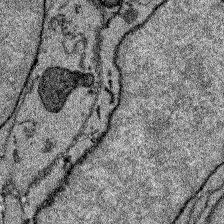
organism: Zebrafish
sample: Larval olfactory bulb